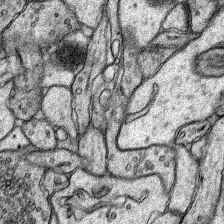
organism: Rat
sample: Hippocampus